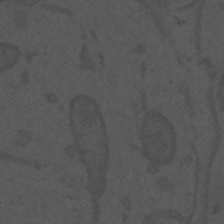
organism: Mouse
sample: Suprachiasmatic nucleus